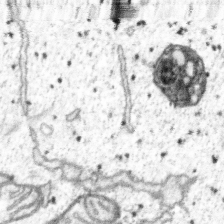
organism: Human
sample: HeLa cells